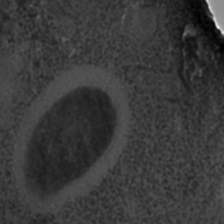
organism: C. elegans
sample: C. elegans embryo